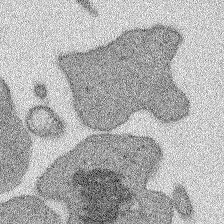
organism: Human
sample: HeLa cells